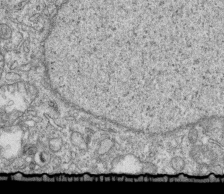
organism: Human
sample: HeLa cell HIV synapse